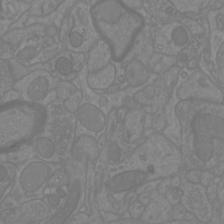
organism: Mouse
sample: Cortical neurons